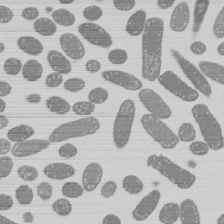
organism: E. coli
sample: Bacterial nucleoid